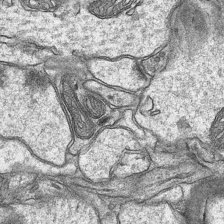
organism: Mouse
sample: CA1 Hippocampus